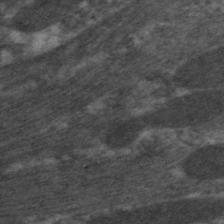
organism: C. elegans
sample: Pharynx